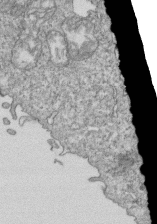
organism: Human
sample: HeLa cell HIV synapse